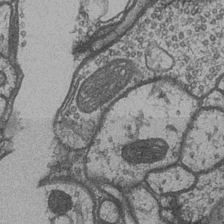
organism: Drosophila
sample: Optic medulla